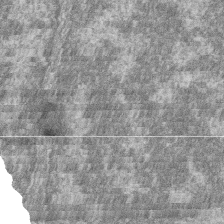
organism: Zebrafish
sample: Cilia; retinal pigment epithelium